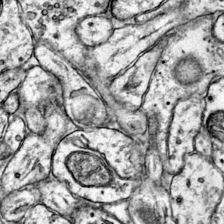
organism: Mouse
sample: Primary visual cortex